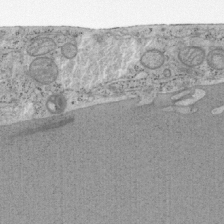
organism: Human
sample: HeLa cells